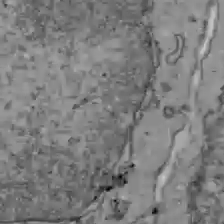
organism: C57BL Mouse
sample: Liver